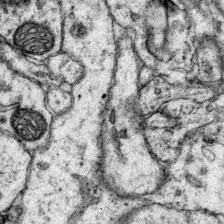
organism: Mouse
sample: Primary visual cortex